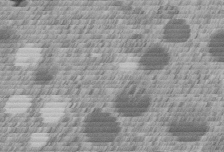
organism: C. elegans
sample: C. elegans embryo early stage